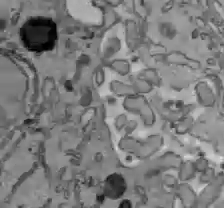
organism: C57BL Mouse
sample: Liver